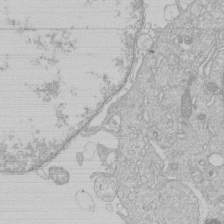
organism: Human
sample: Macrophage cells